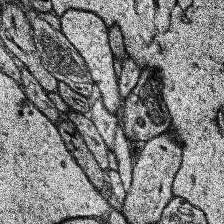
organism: Human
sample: Temporal Lobe